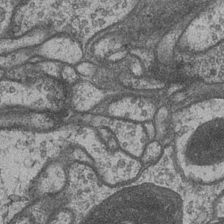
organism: Drosophila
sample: Optic medulla